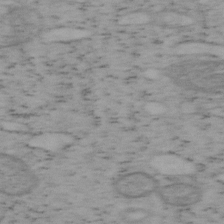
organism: Mouse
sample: OT-I killer T cells with ID8 ovarian cancer cells